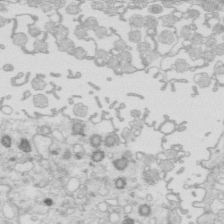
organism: Mouse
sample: Multiciliated cells